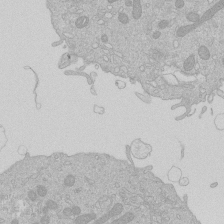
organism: Human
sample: Macrophage cells